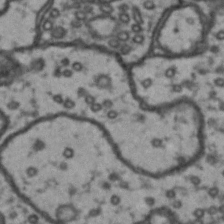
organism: Drosophila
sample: Brain